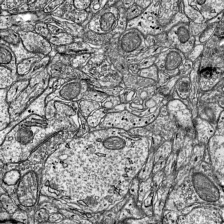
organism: Mouse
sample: Visual Cortex